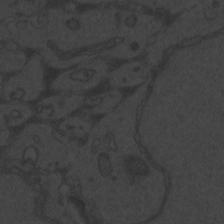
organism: Zebrafish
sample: Macrophage infected with Toxoplasma gondii